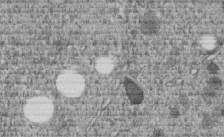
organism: C. elegans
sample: C. elegans embryo early stage